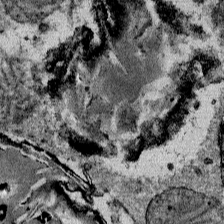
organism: Mouse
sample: Mouse Salivary gland